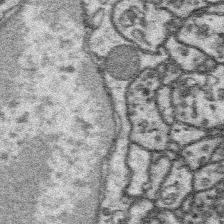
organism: Platynereis dumerilii